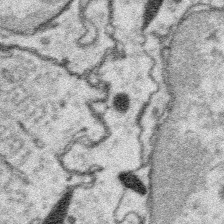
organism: Platynereis dumerilii